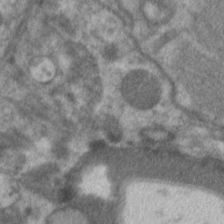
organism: C. elegans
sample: Pharynx